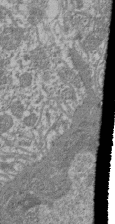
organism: Mouse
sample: Glomerulus